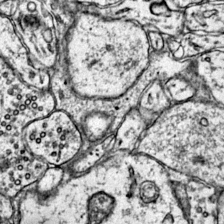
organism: Mouse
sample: Primary visual cortex